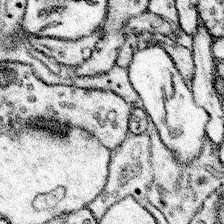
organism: Mouse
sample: Somatosensory cortex neuropil